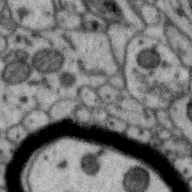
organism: Zebra finch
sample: Brain